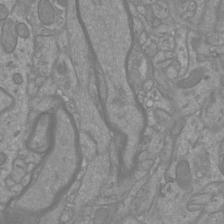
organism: Mouse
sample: Cortical neurons